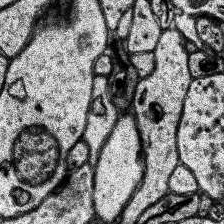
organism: Human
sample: Temporal Lobe